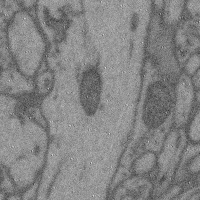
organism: Mouse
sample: Cerebral cortex